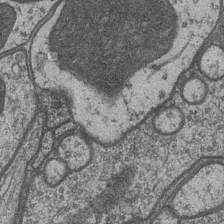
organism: Drosophila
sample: Optic medulla